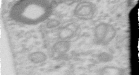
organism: Human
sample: Centriole in RPE cells